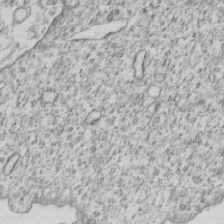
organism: Human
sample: MDA-MB-231 cells